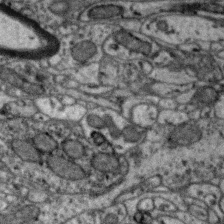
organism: Zebra finch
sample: Brain